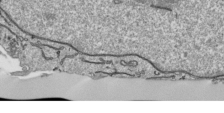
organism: Human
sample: Mitochondria in HCT116 cells